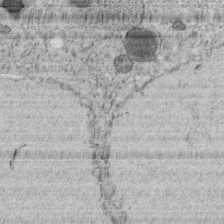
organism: C. elegans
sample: C. elegans embryo early stage